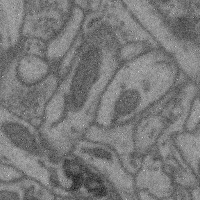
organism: Mouse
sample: Cerebral cortex